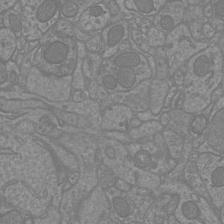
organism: Mouse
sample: Cortical neurons